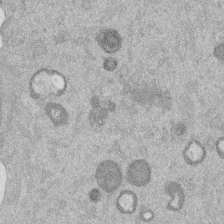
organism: Mouse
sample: Dividing mouse embryo 1 cell stage